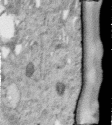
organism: Human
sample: Centriole in RPE cells